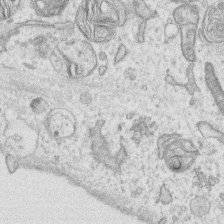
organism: Human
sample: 1205lu cells